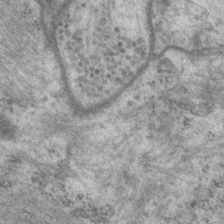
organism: P. pacificus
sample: Pharynx